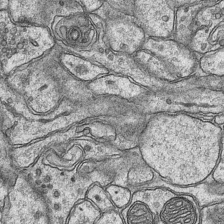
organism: Mouse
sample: CA1 Hippocampus